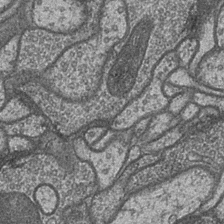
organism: Drosophila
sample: Optic medulla